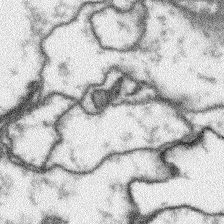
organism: Arabidopsis thaliana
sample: Root tip